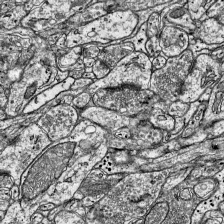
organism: Mouse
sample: Visual Cortex